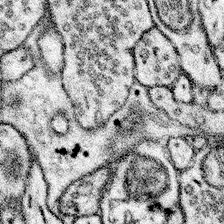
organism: Mouse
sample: Somatosensory cortex neuropil